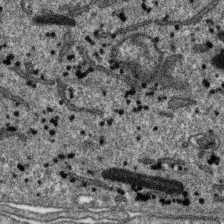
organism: Human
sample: Lung epithelial cells infected with SARS-CoV-2